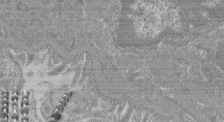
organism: Mouse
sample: Glomerulus